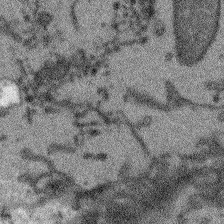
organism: Arabidopsis thaliana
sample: Root tip